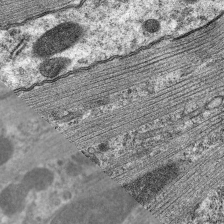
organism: C. elegans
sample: Pharynx